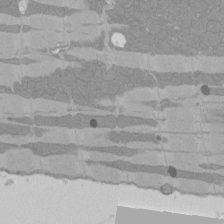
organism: Rat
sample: Left ventricle